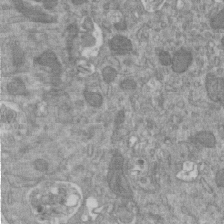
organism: Mouse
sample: ED-1 cell nuclei; centrioles